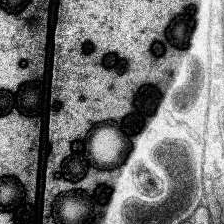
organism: Human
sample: Temporal Lobe